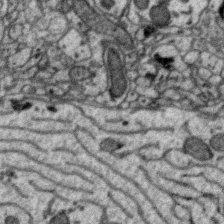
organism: Zebra finch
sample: Brain